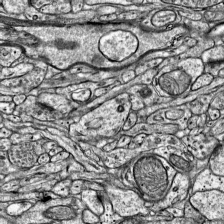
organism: Mouse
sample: Visual Cortex